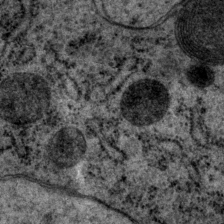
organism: P. pacificus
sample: Pharynx